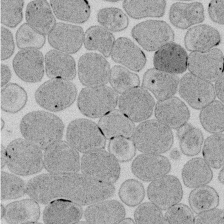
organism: E. coli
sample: Bacterial nucleoid